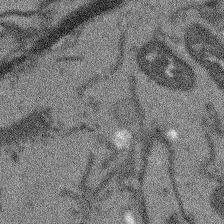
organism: Arabidopsis thaliana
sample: Root tip